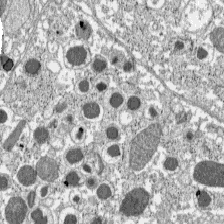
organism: C57BL Mouse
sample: Pancreatic islet